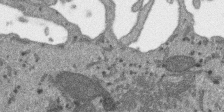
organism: Human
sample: Lung epithelial cells infected with SARS-CoV-2